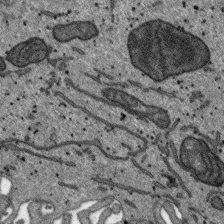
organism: Human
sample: Lung epithelial cells, uninfected (mock) control